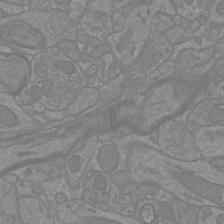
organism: Mouse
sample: Cortical neurons